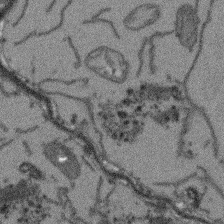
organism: Arabidopsis thaliana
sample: Root tip